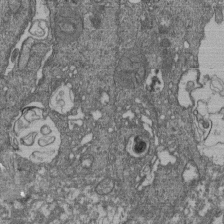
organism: Human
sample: Retinal organoid Rod and Cone cells